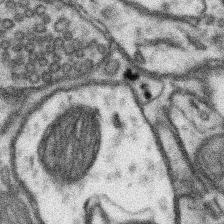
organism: Mouse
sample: Somatosensory cortex neuropil